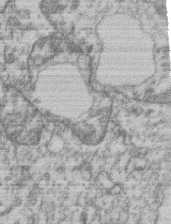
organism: Mouse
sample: T cell stromal cell synapse